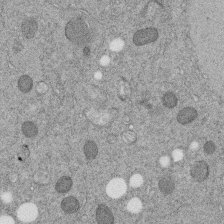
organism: C. elegans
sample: C. elegans embryo early stage